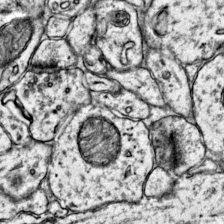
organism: Mouse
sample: Primary visual cortex